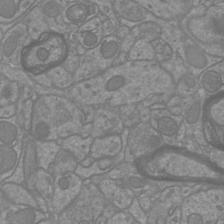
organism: Mouse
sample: Cortical neurons